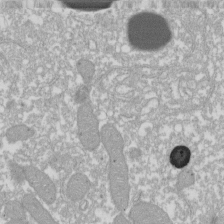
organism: Xenopus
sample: Cilia; centrioles in frog embryo cells